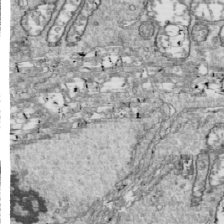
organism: Drosophila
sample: Cell division; meiosis; drosophila spermatocytes